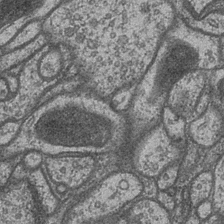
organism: Drosophila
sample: Optic medulla